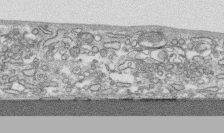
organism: Human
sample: CRL-1474